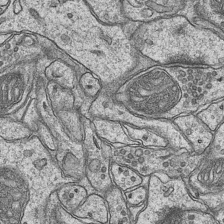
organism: Mouse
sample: CA1 Hippocampus